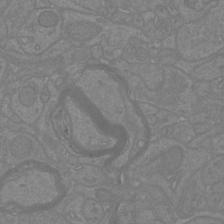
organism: Mouse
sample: Cortical neurons